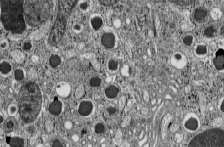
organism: C57BL Mouse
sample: Pancreatic islet